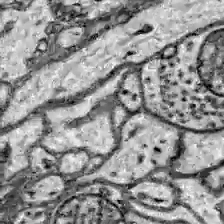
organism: Zebrafish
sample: Brain